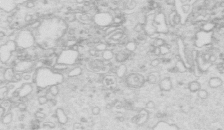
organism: Mouse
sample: Multiciliated cells